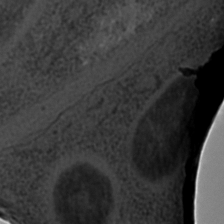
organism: C. elegans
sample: C. elegans embryo